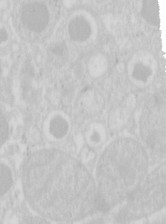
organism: Mouse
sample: Pancreas